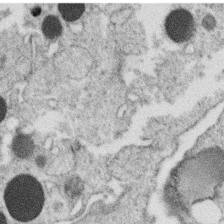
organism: C. elegans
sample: C. elegans oocyte; sperm cells